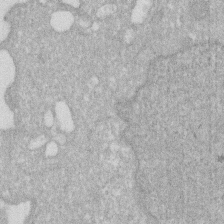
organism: Human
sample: HIV infected U937 cells